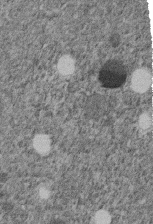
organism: C. elegans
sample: C. elegans embryo early stage